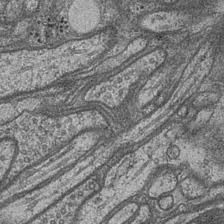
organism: Drosophila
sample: Optic medulla